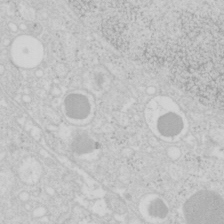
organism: Mouse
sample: Pancreas